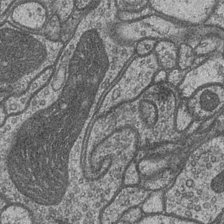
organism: Drosophila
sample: Optic medulla